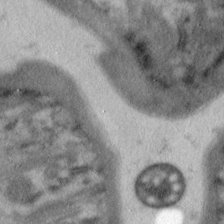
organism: C. elegans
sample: Pharynx